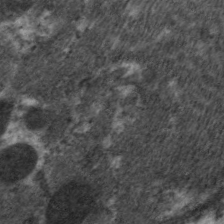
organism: C. elegans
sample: Pharynx